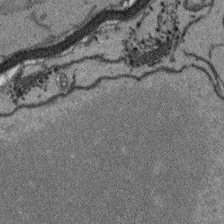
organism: Arabidopsis thaliana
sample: Root tip